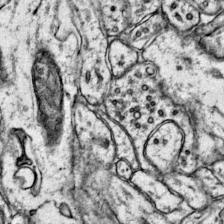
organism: Mouse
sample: Primary visual cortex